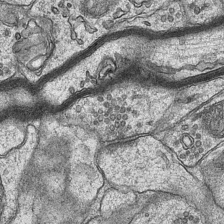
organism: Mouse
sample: CA1 Hippocampus